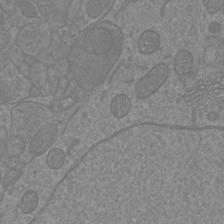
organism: Mouse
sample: Cortical neurons